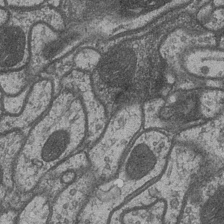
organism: Drosophila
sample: Optic medulla